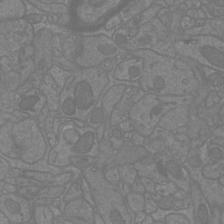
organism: Mouse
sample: Cortical neurons